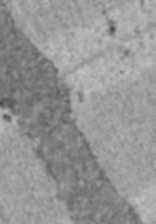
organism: C57BL Mouse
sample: Heart